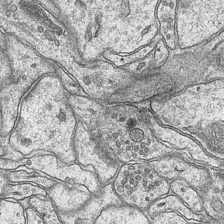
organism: Mouse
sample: CA1 Hippocampus